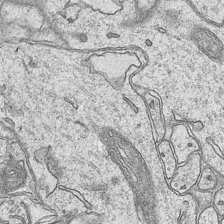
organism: Mouse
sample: CA1 Hippocampus